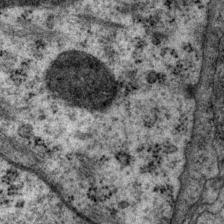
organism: P. pacificus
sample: Pharynx